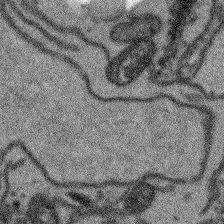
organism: Arabidopsis thaliana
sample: Root tip